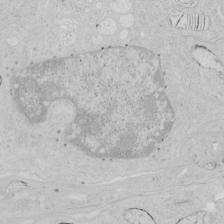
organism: Human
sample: Mitochondria in HCT116 cells